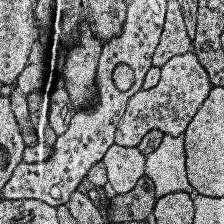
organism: Human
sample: Temporal Lobe